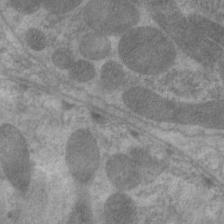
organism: C. elegans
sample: Pharynx